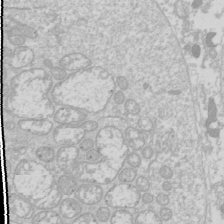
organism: Drosophila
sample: Cell division; meiosis; drosophila spermatocytes